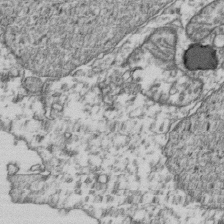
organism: Human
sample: Activated Jurkat CD4+ T cells